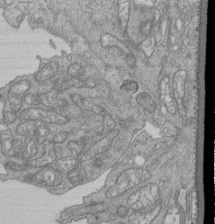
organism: Human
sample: Retinal organoid Rod and Cone cells